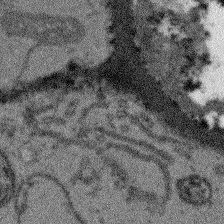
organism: Arabidopsis thaliana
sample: Root tip